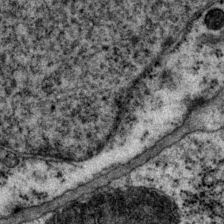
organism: P. pacificus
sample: Pharynx